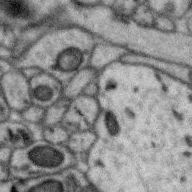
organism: Zebra finch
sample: Brain